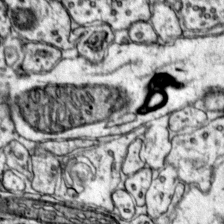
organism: Mouse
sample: Primary visual cortex